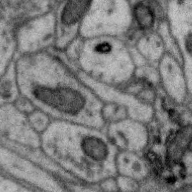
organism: Zebra finch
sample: Brain